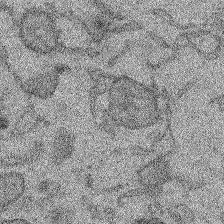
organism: Human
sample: HeLa cells